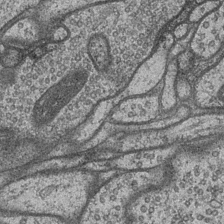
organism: Drosophila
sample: Optic medulla